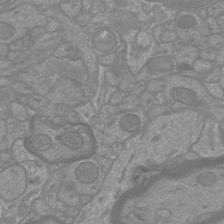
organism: Mouse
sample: Cortical neurons